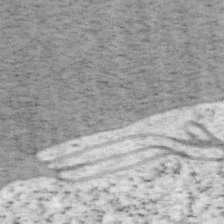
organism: Mouse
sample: OT-I killer T cells with ID8 ovarian cancer cells